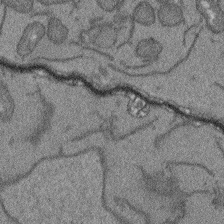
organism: Arabidopsis thaliana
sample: Root tip